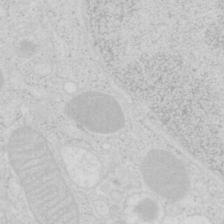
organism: Mouse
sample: Pancreas